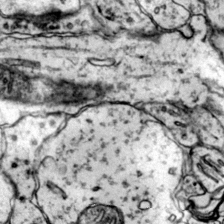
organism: Mouse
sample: Primary visual cortex